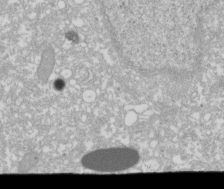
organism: Xenopus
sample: Cilia; centrioles in frog embryo cells